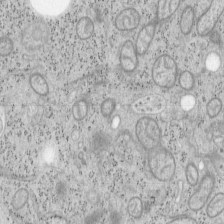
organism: Mouse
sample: OT-I killer T cells with ID8 ovarian cancer cells